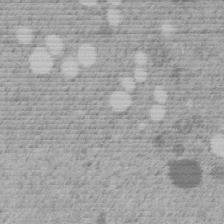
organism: C. elegans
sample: C. elegans embryo early stage